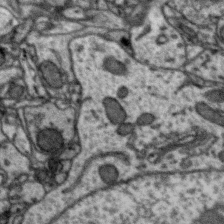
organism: Zebra finch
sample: Brain